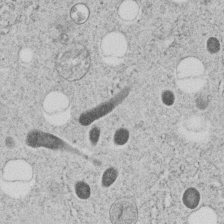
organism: C. elegans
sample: C. elegans embryo early stage